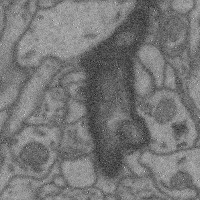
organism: Mouse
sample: Cerebral cortex